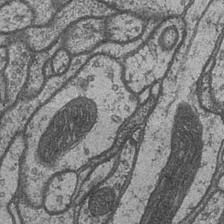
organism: Drosophila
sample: Optic medulla